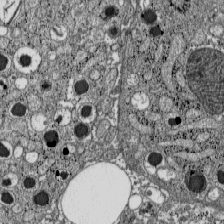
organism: C57BL Mouse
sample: Pancreatic islet